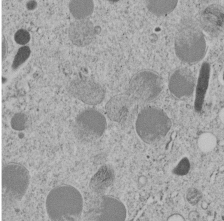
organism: C. elegans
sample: C. elegans embryo early stage